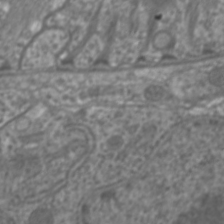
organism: C. elegans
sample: Pharynx